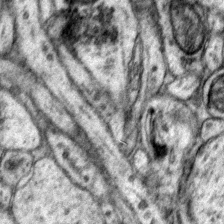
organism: Mouse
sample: Primary visual cortex